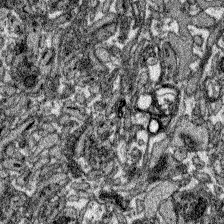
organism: Zebrafish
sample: Larval olfactory bulb